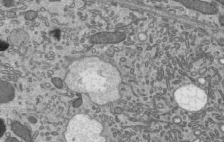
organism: Mouse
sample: Mouse epididymis efferent ductule cilia